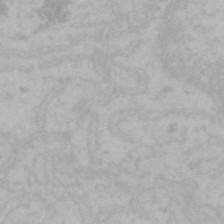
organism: Mouse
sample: Choroid plexus